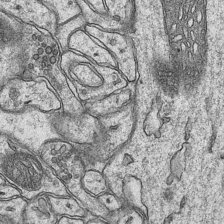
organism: Mouse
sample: CA1 Hippocampus